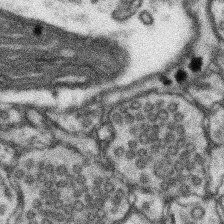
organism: Mouse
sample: Somatosensory cortex neuropil